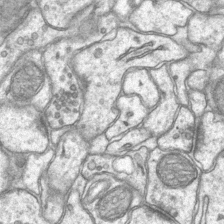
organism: Mouse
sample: CA1 Hippocampus